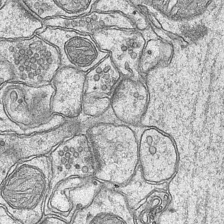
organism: Mouse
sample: CA1 Hippocampus